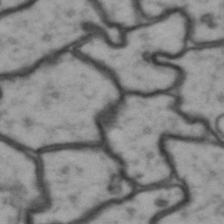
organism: Drosophila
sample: Brain